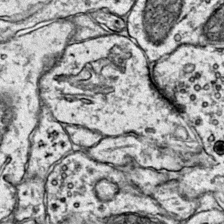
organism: Mouse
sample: Primary visual cortex